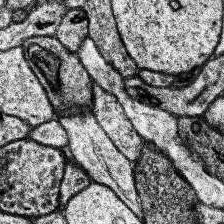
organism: Human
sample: Temporal Lobe